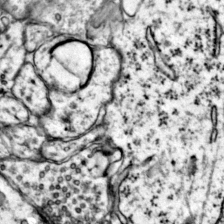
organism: Mouse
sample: Primary visual cortex